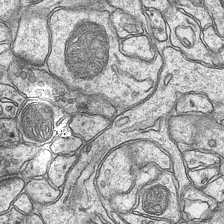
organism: Mouse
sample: CA1 Hippocampus